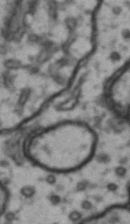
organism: Drosophila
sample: Brain